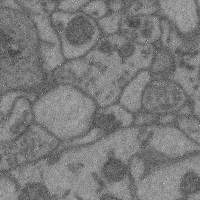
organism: Mouse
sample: Cerebral cortex